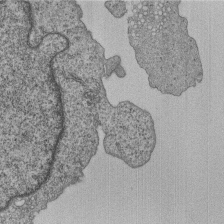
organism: Human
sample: MDA-MB-231 cells